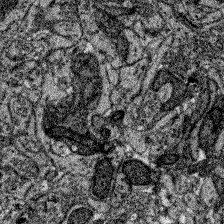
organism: Zebrafish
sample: Larval olfactory bulb